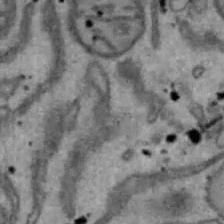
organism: Mouse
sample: Liver